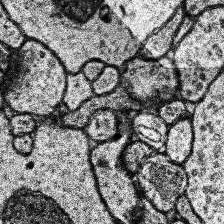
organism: Human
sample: Temporal Lobe